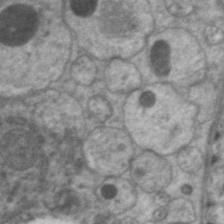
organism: C. elegans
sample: Pharynx